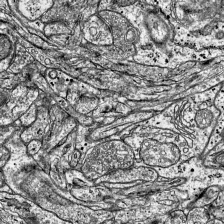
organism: Mouse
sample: Visual Cortex